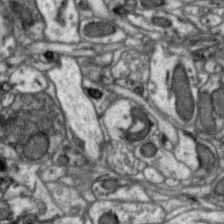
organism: Zebra finch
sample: Brain